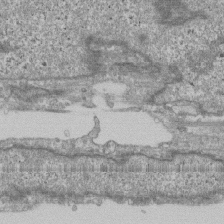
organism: Human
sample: Fibroblast cells